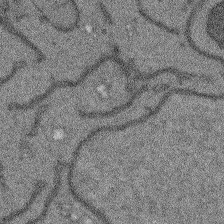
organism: Arabidopsis thaliana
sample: Root tip